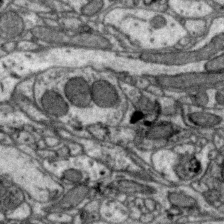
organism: Zebra finch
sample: Brain